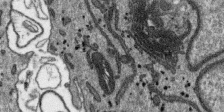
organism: Human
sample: Lung epithelial cells, uninfected (mock) control